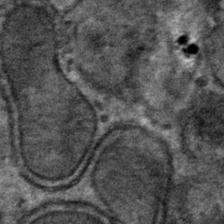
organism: Mouse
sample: Mouse hepatocytes